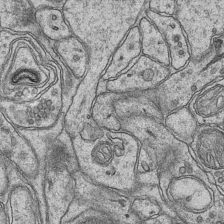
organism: Mouse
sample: CA1 Hippocampus